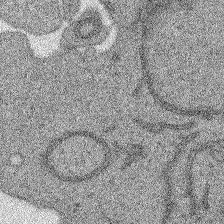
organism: Human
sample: HeLa cells